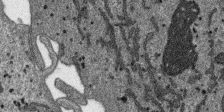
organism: Human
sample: Lung epithelial cells infected with SARS-CoV-2